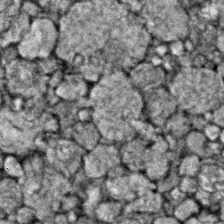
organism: Zebrafish